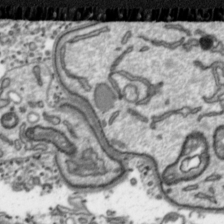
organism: Toxoplasma gondii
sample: Parasites in a vacuole inside a host cell